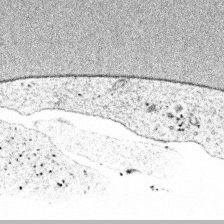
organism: Human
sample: HeLa cells